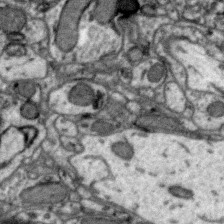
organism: Zebra finch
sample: Brain